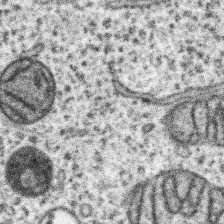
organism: Human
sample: HeLa cells